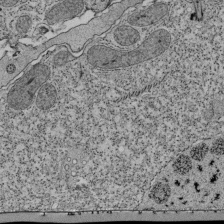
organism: Tetrahymena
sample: Cilia in tetrahymena